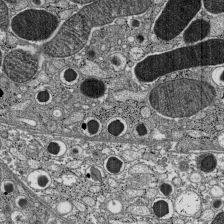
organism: C57BL Mouse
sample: Pancreatic islet